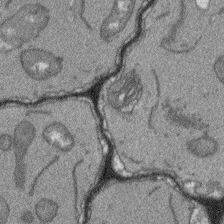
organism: Arabidopsis thaliana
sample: Root tip